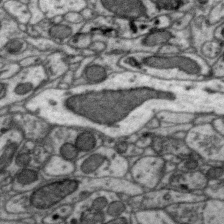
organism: Zebra finch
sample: Brain